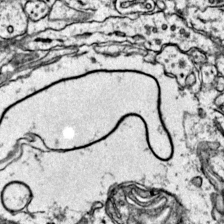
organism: Mouse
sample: Primary visual cortex